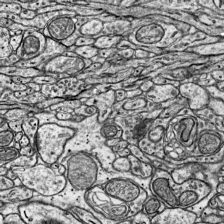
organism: Mouse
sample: Visual Cortex